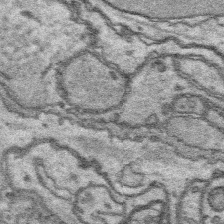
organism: Platynereis dumerilii